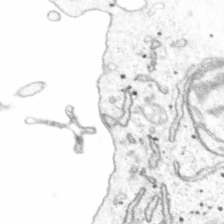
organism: Human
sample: HeLa cells